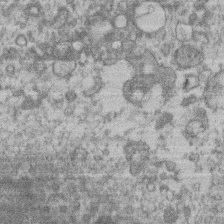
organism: Mouse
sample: T cell stromal cell synapse